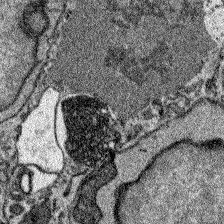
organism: Zebrafish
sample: Larval olfactory bulb